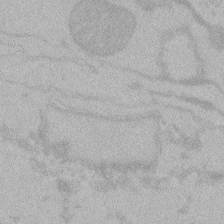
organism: Zebrafish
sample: Macrophage infected with Toxoplasma gondii